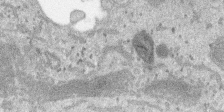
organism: Human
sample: Lung epithelial cells infected with SARS-CoV-2